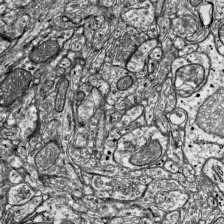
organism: Mouse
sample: Visual Cortex